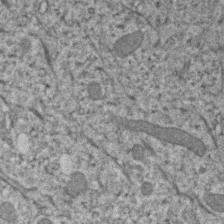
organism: Human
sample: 1205lu cells